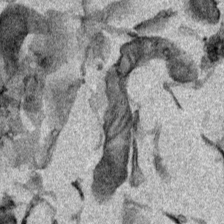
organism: Mouse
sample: Cancer cell death in ED-1 cells